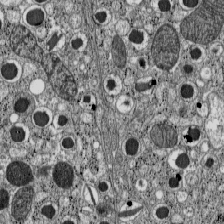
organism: C57BL Mouse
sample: Pancreatic islet